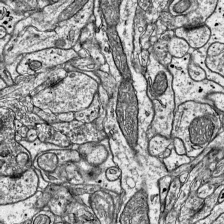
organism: Mouse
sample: Visual Cortex